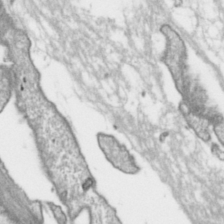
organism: Toxoplasma gondii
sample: Parasites in a vacuole inside a host cell